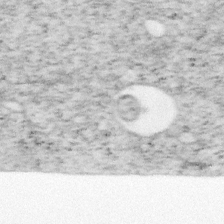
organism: Mouse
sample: OT-I killer T cells with ID8 ovarian cancer cells